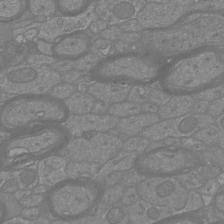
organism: Mouse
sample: Cortical neurons